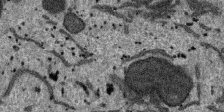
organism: Human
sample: Lung epithelial cells, uninfected (mock) control